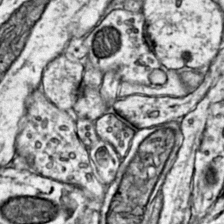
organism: Mouse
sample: Primary visual cortex